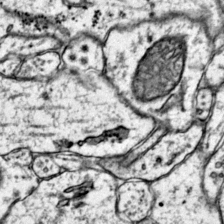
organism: Mouse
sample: Primary visual cortex